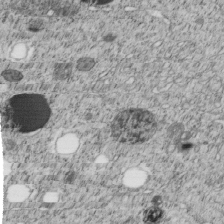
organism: C. elegans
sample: C. elegans embryo early stage